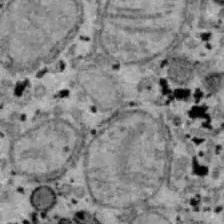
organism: Mouse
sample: Liver from an obese (ob/ob) mouse